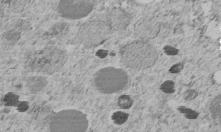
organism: C. elegans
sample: C. elegans embryo early stage